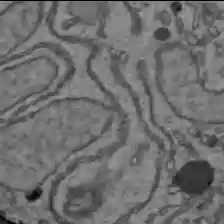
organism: C57BL Mouse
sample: Liver